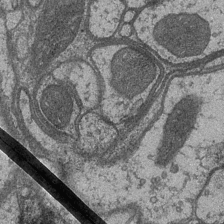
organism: Drosophila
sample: Optic medulla